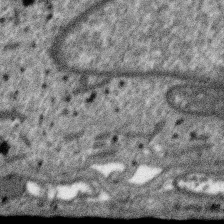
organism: Human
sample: Lung epithelial cells infected with SARS-CoV-2